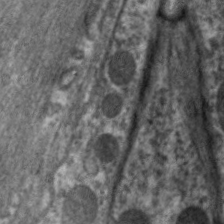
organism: C. elegans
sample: Pharynx